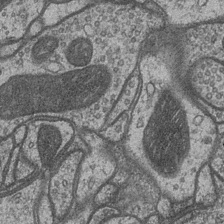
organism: Drosophila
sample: Optic medulla